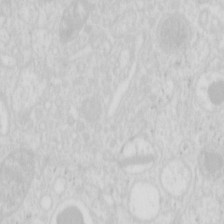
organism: Mouse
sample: Pancreas